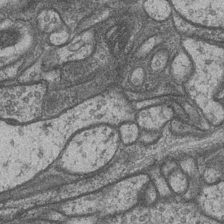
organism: Drosophila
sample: Optic medulla